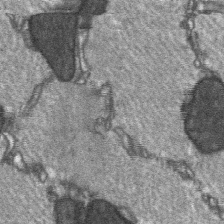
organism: C57BL Mouse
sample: Soleus